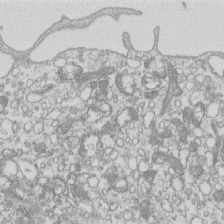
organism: Mouse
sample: Macrophages